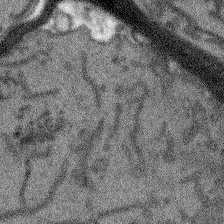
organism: Arabidopsis thaliana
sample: Root tip